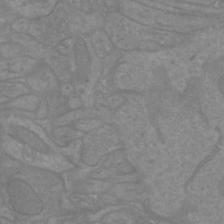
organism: Mouse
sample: Cortical neurons